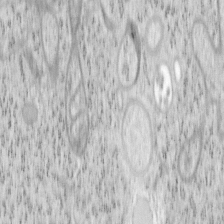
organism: Human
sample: HeLa cells